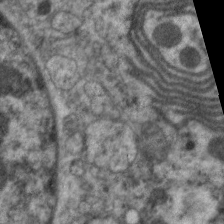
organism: C. elegans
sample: Pharynx